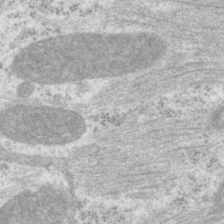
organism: P. pacificus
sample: Pharynx